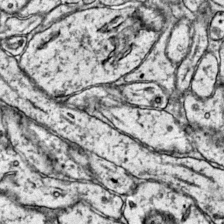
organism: Mouse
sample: Primary visual cortex